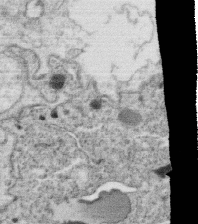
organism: C. elegans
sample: C. elegans oocyte; sperm cells